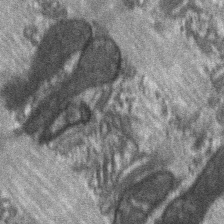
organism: C57BL Mouse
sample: Soleus